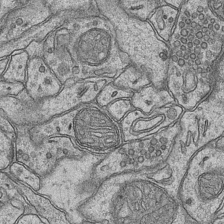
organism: Mouse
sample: CA1 Hippocampus